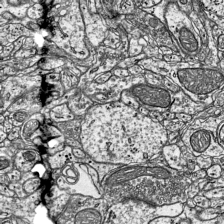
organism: Mouse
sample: Visual Cortex